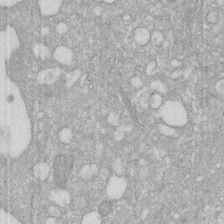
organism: Human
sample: HIV infected U937 cells